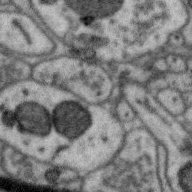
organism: Zebra finch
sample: Brain